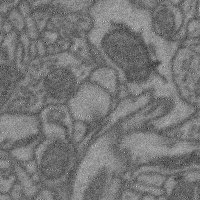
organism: Mouse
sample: Cerebral cortex